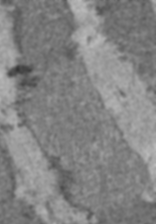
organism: C57BL Mouse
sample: Heart